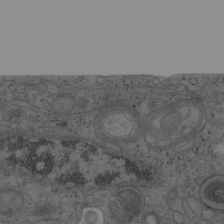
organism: Human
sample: HeLa cells